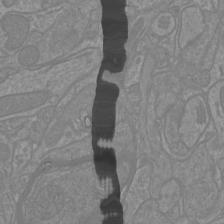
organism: Mouse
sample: Cortical neurons